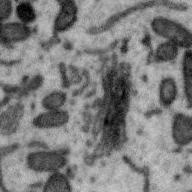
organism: Zebra finch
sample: Brain